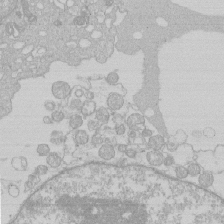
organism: Human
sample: Macrophage cells